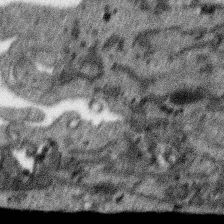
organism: Human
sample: Lung epithelial cells infected with SARS-CoV-2